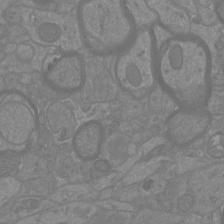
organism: Mouse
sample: Cortical neurons